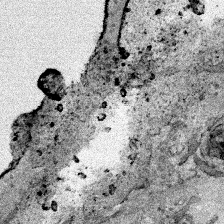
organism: Human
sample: Mitochondria in HCT116 cells